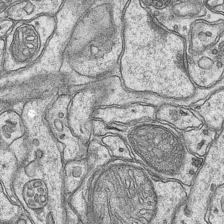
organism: Mouse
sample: CA1 Hippocampus